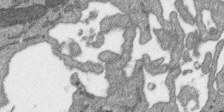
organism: Human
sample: Lung epithelial cells infected with SARS-CoV-2